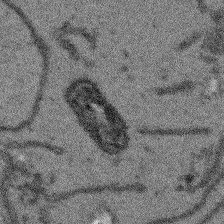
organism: Arabidopsis thaliana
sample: Root tip